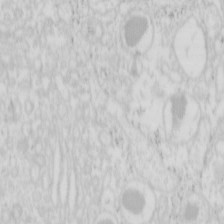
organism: Mouse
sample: Pancreas